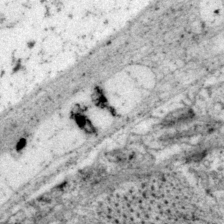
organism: P. pacificus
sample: Pharynx